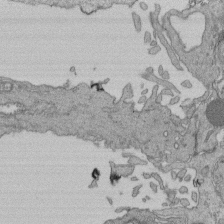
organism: Human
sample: Retinal organoid Rod and Cone cells